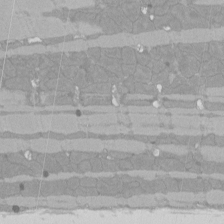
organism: Rat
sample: Left ventricle